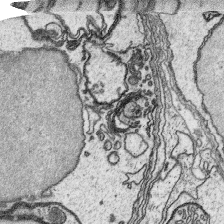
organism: Platynereis dumerilii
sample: Parapodia